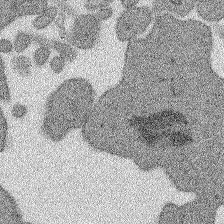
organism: Human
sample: HeLa cells